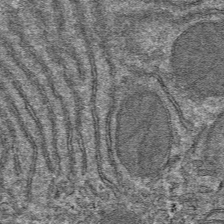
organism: Mouse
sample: Mouse hepatocytes